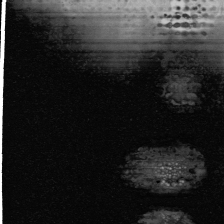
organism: Human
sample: Mitochondria in U2OS cells